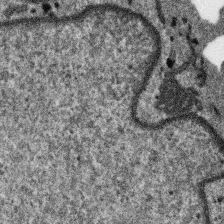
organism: Human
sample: Lung epithelial cells infected with SARS-CoV-2